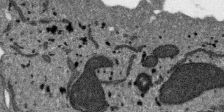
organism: Human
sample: Lung epithelial cells, uninfected (mock) control